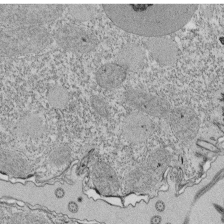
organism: Tetrahymena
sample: Cilia in tetrahymena